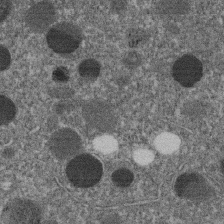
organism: C. elegans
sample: C. elegans embryo early stage